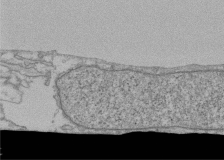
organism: Human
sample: Fibroblast cells